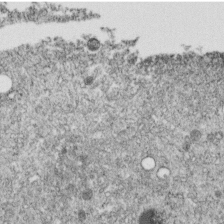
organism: C. elegans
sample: C. elegans embryo early stage